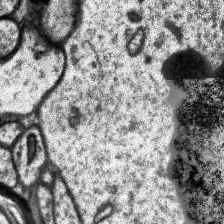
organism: Human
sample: Temporal Lobe